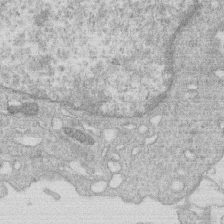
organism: Human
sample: Macrophage cells